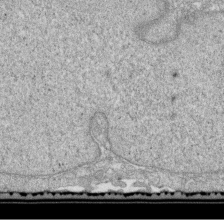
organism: Human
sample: HeLa cell HIV synapse